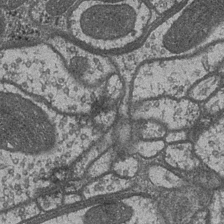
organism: Drosophila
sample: Optic medulla